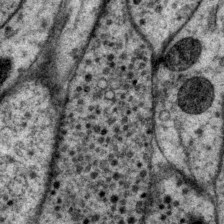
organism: P. pacificus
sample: Pharynx